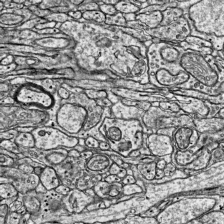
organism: Mouse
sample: Visual Cortex